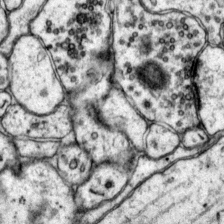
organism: Mouse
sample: Primary visual cortex